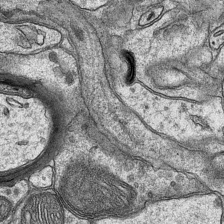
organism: Mouse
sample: CA1 Hippocampus